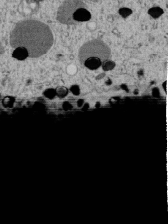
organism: C. elegans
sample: C. elegans embryo early stage